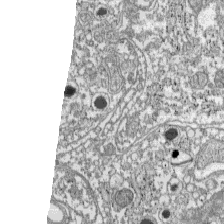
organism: C57BL Mouse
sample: Pancreatic islet